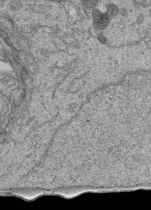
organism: Human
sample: Retinal organoid Rod and Cone cells